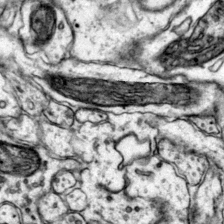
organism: Mouse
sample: Primary visual cortex